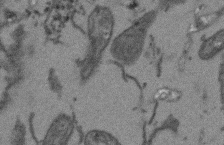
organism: Arabidopsis thaliana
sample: Root tip